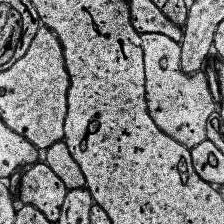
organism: Human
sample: Temporal Lobe